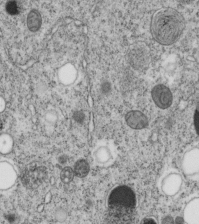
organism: C. elegans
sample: C. elegans embryo early stage